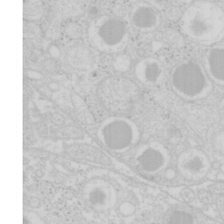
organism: Mouse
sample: Pancreas